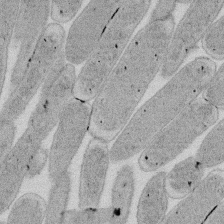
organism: E. coli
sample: Bacterial nucleoid